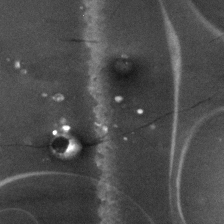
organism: Zebrafish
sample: Zebrafish embryo